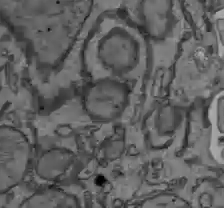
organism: C57BL Mouse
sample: Liver